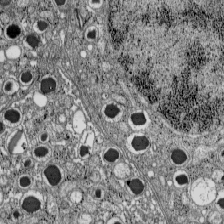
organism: C57BL Mouse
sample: Pancreatic islet